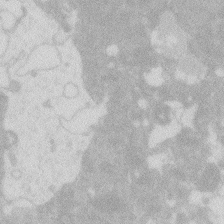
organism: Zebrafish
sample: Macrophage